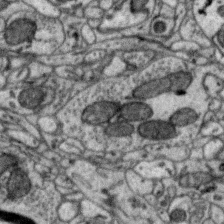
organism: Zebra finch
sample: Brain